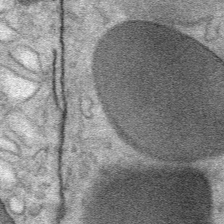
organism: Mouse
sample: Mouse Salivary gland